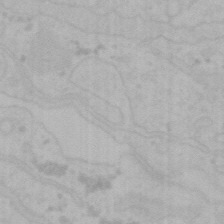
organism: Mouse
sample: Choroid plexus